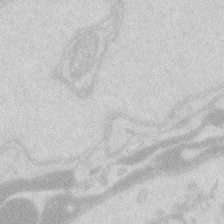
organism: Zebrafish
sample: Macrophage